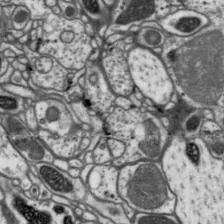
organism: Drosophila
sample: Protocerebral bridge